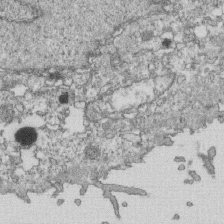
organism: Human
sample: HeLa cell HIV synapse